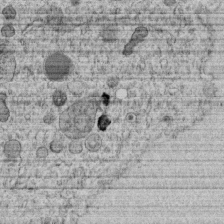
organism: C. elegans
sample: C. elegans embryo early stage